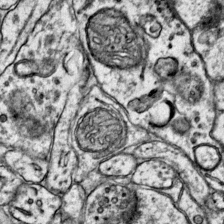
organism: Mouse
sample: Primary visual cortex